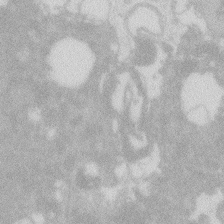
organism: Zebrafish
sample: Macrophage